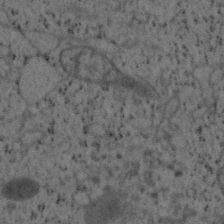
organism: Human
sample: HeLa cells